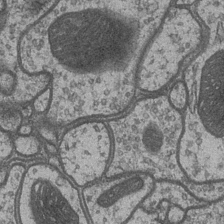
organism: Drosophila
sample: Optic medulla